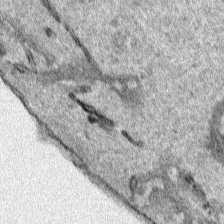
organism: Human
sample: Mitochondria in HCT116 cells